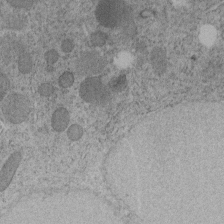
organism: C. elegans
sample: C. elegans embryo early stage